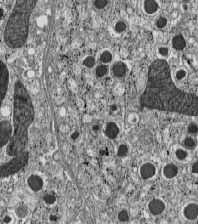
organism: C57BL Mouse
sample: Pancreatic islet